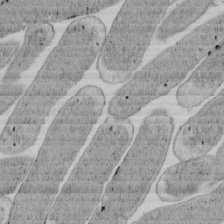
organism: E. coli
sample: Bacterial nucleoid